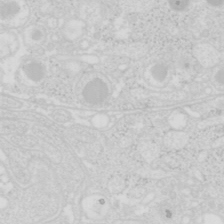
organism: Mouse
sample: Pancreas